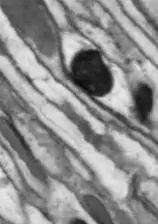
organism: Drosophila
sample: Optic lobe